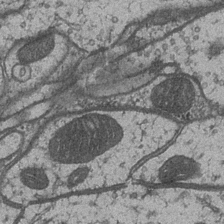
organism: Drosophila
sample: Optic medulla